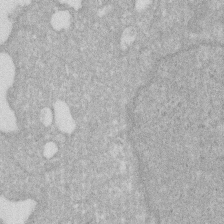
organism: Human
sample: HIV infected U937 cells